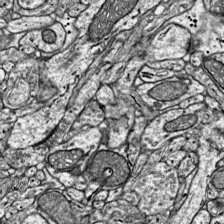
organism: Mouse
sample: Visual Cortex